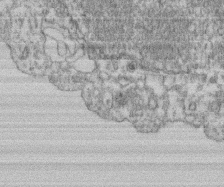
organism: Mouse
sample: T cell stromal cell synapse